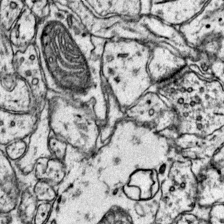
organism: Mouse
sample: Primary visual cortex